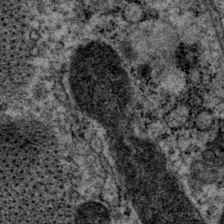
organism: P. pacificus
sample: Pharynx